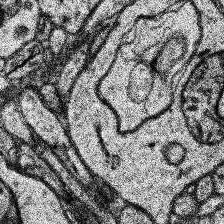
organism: Human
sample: Temporal Lobe